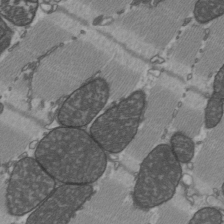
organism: C57BL Mouse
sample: Heart